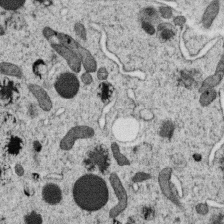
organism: C. elegans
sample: C. elegans oocyte; sperm cells